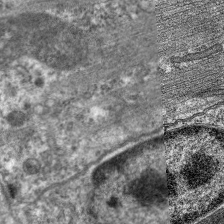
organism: C. elegans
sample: Pharynx